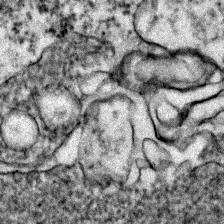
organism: Zebrafish